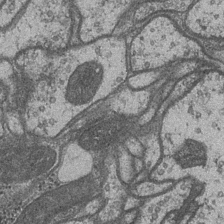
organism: Drosophila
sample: Optic medulla